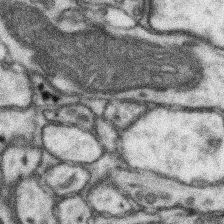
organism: Mouse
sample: Somatosensory cortex neuropil